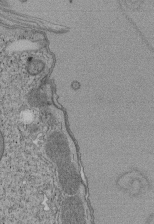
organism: Tetrahymena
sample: Cilia in tetrahymena